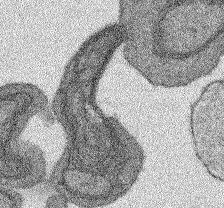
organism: Human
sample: HeLa cells